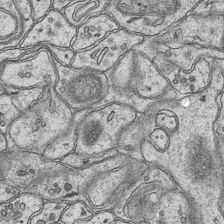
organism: Mouse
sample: CA1 Hippocampus